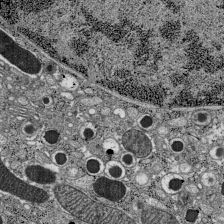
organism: C57BL Mouse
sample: Pancreatic islet